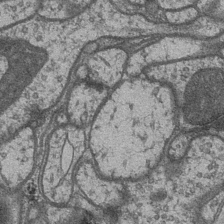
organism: Drosophila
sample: Optic medulla